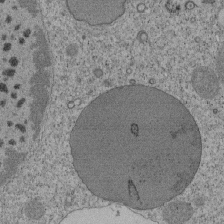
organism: Tetrahymena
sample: Cilia in tetrahymena